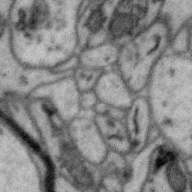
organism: Zebra finch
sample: Brain